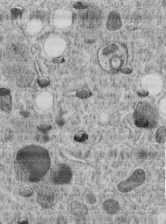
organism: C. elegans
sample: C. elegans embryo early stage